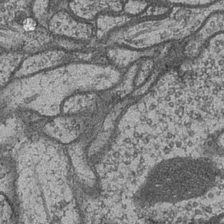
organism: Drosophila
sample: Optic medulla